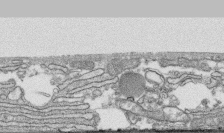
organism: Human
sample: CRL-1474